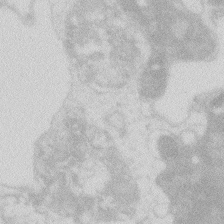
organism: Zebrafish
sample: Macrophage